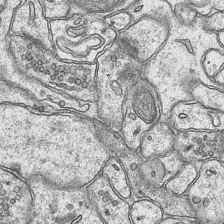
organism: Mouse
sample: CA1 Hippocampus